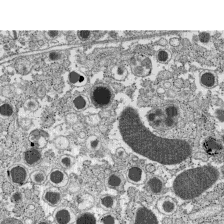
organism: C57BL Mouse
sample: Pancreatic islet